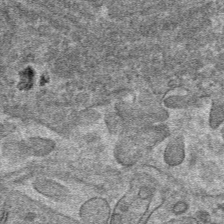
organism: Mouse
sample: Mouse hepatocytes